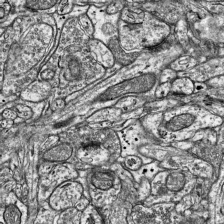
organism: Mouse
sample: Visual Cortex